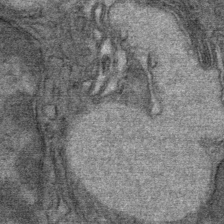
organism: Mouse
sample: Mouse Salivary gland